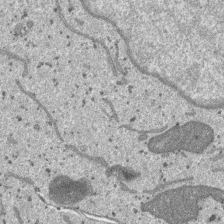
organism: Human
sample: Lung epithelial cells infected with SARS-CoV-2